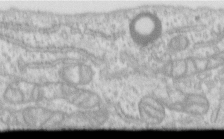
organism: Human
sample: Centriole in RPE cells